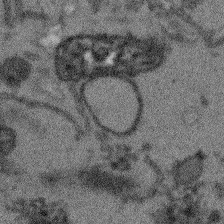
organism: Arabidopsis thaliana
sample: Root tip